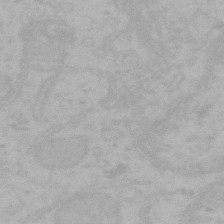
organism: Mouse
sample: Choroid plexus